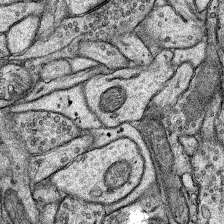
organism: Rat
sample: Hippocampus